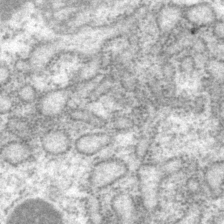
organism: P. pacificus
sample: Pharynx